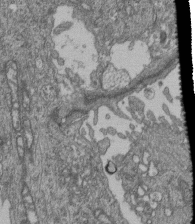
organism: Human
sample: Retinal organoid Rod and Cone cells